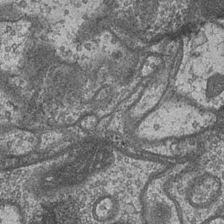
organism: Drosophila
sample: Optic medulla